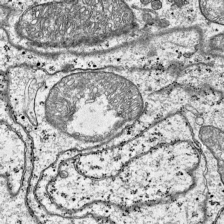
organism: Mouse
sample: Visual Cortex